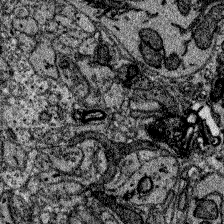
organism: Zebrafish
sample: Larval olfactory bulb